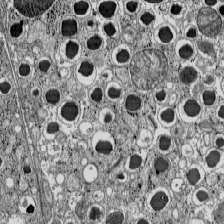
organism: C57BL Mouse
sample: Pancreatic islet